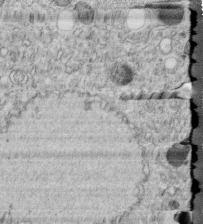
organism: C. elegans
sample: C. elegans embryo early stage